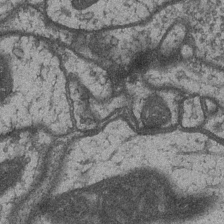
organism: Drosophila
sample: Optic medulla